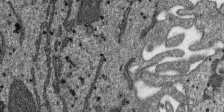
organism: Human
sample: Lung epithelial cells infected with SARS-CoV-2